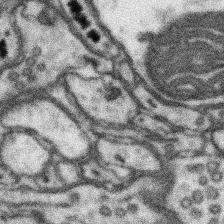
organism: Mouse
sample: Somatosensory cortex neuropil